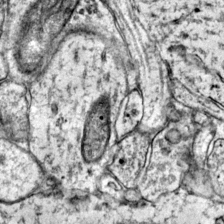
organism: Mouse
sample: Primary visual cortex